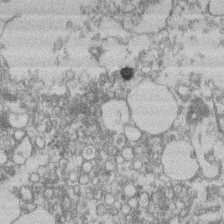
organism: Mouse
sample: T cell stromal cell synapse